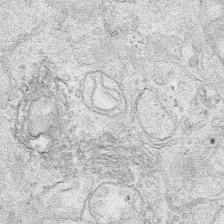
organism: Human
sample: Mitochondria in HCT116 cells